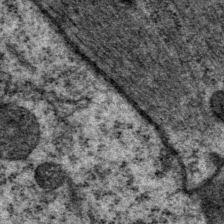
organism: P. pacificus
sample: Pharynx